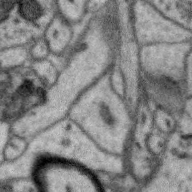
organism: Zebra finch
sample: Brain